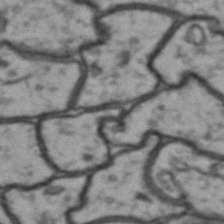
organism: Drosophila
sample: Brain